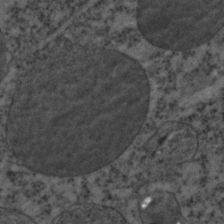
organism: C. elegans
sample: C. elegans embryo